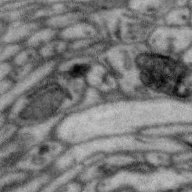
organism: Zebra finch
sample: Brain